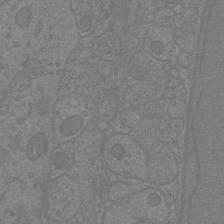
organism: Mouse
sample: Cortical neurons